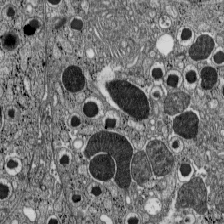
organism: C57BL Mouse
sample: Pancreatic islet